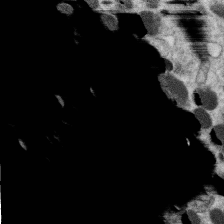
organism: C. elegans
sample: C. elegans oocyte; sperm cells